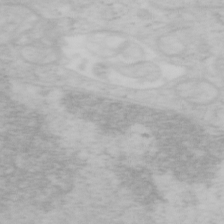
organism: Mouse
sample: OT-I killer T cells with ID8 ovarian cancer cells